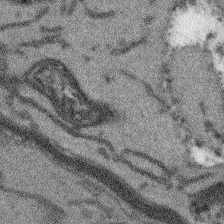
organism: Arabidopsis thaliana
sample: Root tip